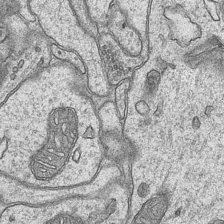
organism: Mouse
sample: CA1 Hippocampus